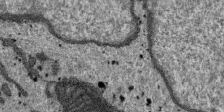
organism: Human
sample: Lung epithelial cells, uninfected (mock) control